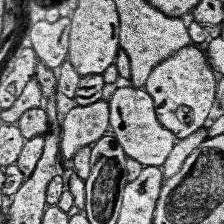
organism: Human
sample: Temporal Lobe